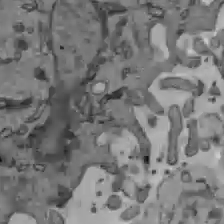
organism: C57BL Mouse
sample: Liver